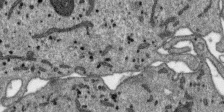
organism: Human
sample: Lung epithelial cells, uninfected (mock) control